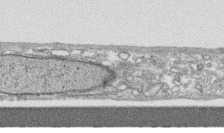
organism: Human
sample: CRL-1474